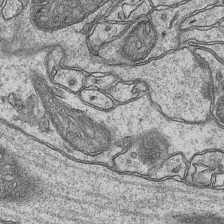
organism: Mouse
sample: CA1 Hippocampus